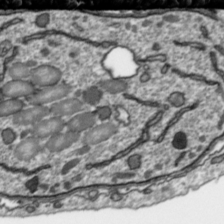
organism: Toxoplasma gondii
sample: Parasites in a vacuole inside a host cell